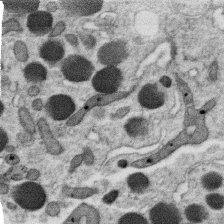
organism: C. elegans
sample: C. elegans oocyte; sperm cells